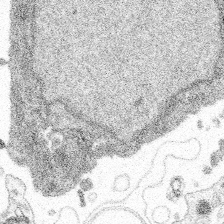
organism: Spongilla lacustris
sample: Multiple